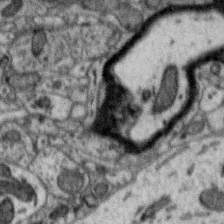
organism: Zebra finch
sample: Brain